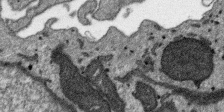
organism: Human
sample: Lung epithelial cells, uninfected (mock) control